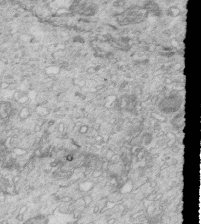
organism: Mouse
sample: Multiciliated cells